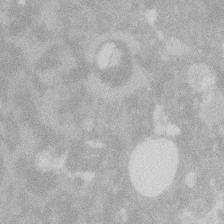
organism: Zebrafish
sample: Macrophage